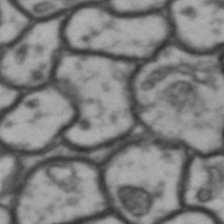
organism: Drosophila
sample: Brain